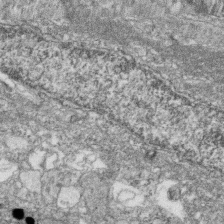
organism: Zebrafish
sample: Cilia; retinal pigment epithelium